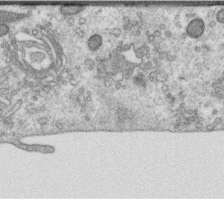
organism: Human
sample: Centriole in RPE cells